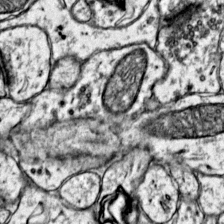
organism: Mouse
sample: Primary visual cortex